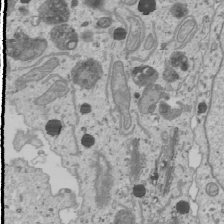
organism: Human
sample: Mitochondria in U2OS cells